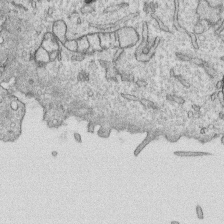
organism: Human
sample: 1205lu cells